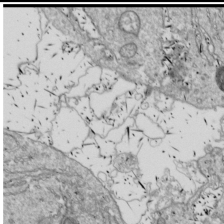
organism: Drosophila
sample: Cell division; meiosis; drosophila spermatocytes